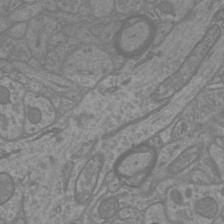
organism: Mouse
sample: Cortical neurons